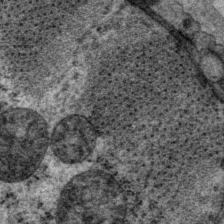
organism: P. pacificus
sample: Pharynx